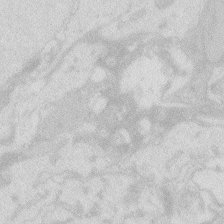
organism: Zebrafish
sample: Macrophage